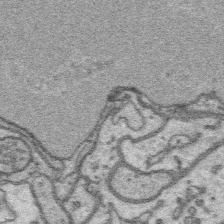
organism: Platynereis dumerilii